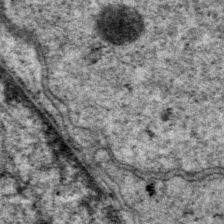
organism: P. pacificus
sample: Pharynx